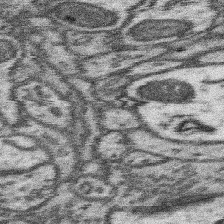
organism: Mouse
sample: Somatosensory cortex neuropil